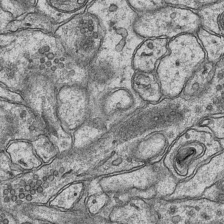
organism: Mouse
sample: CA1 Hippocampus